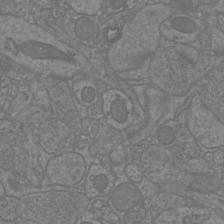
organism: Mouse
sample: Cortical neurons